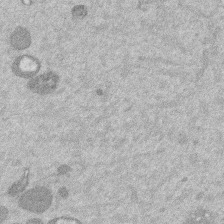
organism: Mouse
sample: Dividing mouse embryo 1 cell stage